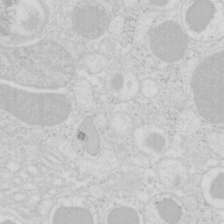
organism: Mouse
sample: Pancreas